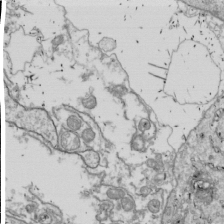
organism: Drosophila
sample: Cell division; meiosis; drosophila spermatocytes